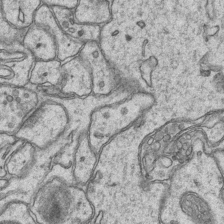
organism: Mouse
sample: CA1 Hippocampus